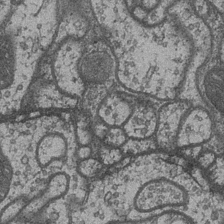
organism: Drosophila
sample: Optic medulla